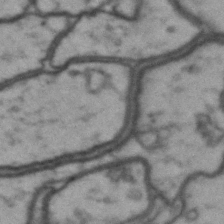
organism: Drosophila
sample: Brain